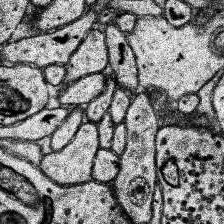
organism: Human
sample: Temporal Lobe